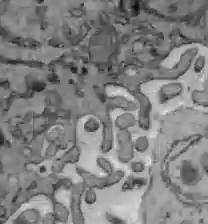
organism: C57BL Mouse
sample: Liver